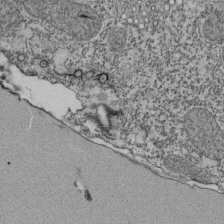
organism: Tetrahymena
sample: Cilia in tetrahymena